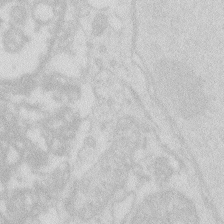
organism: Zebrafish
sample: Macrophage